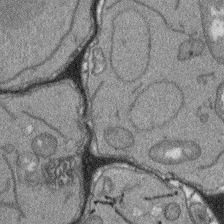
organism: Arabidopsis thaliana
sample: Root tip